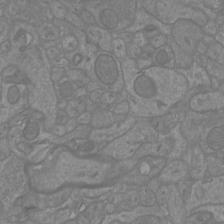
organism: Mouse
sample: Cortical neurons